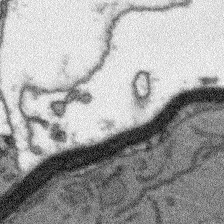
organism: Arabidopsis thaliana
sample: Root tip